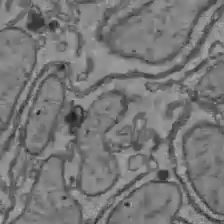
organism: C57BL Mouse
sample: Liver